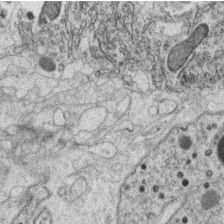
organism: C. elegans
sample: C. elegans oocyte; sperm cells